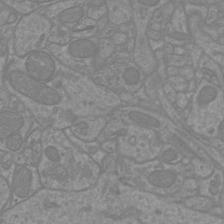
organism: Mouse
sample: Cortical neurons